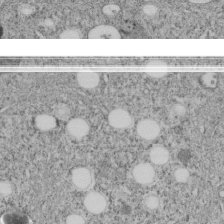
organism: C. elegans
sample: C. elegans embryo early stage